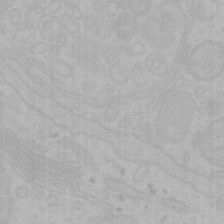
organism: Mouse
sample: Choroid plexus